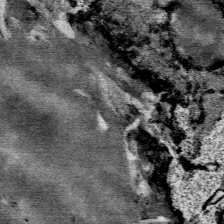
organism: Mouse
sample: Mouse Salivary gland